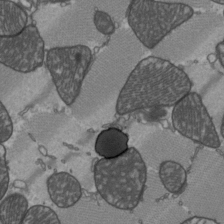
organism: C57BL Mouse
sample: Heart